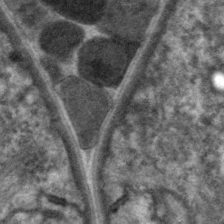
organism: C. elegans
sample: Pharynx